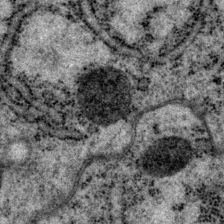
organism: P. pacificus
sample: Pharynx